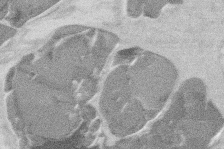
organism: Mouse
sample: T cell stromal cell synapse